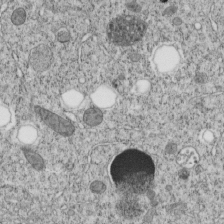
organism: C. elegans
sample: C. elegans embryo early stage